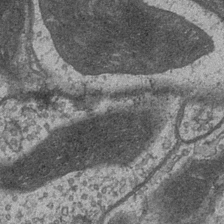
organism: Drosophila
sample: Optic medulla